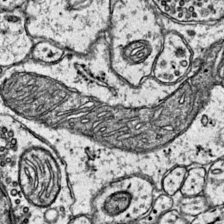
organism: Mouse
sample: Primary visual cortex